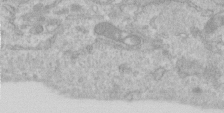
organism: Human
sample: Centriole in RPE cells